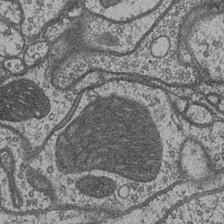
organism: Drosophila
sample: Optic medulla